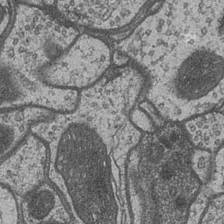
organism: Drosophila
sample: Optic medulla